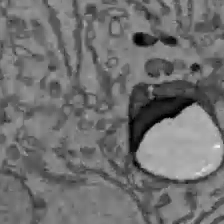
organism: C57BL Mouse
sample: Liver